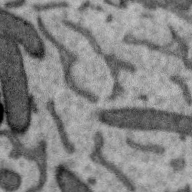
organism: Zebra finch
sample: Brain